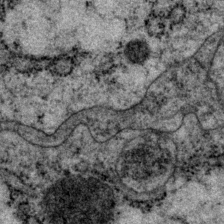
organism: P. pacificus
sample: Pharynx